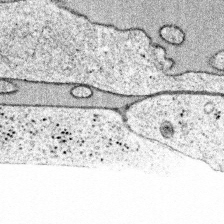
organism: Human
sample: HeLa cells